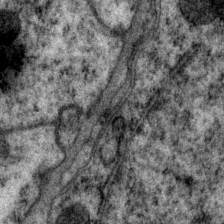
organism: P. pacificus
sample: Pharynx